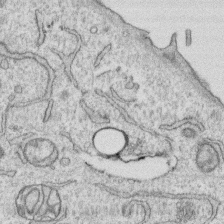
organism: Human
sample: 1205lu cells